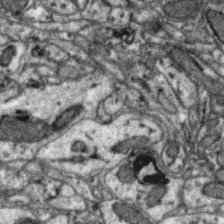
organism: Zebra finch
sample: Brain